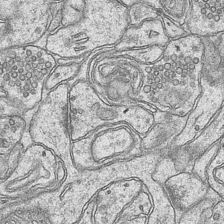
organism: Mouse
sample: CA1 Hippocampus